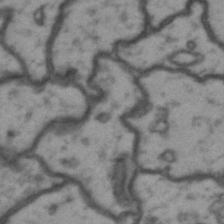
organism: Drosophila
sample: Brain